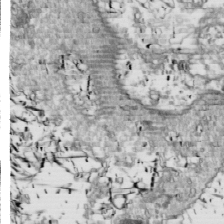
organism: Drosophila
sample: Cell division; meiosis; drosophila spermatocytes